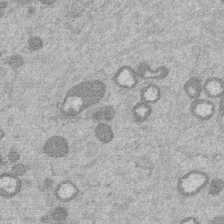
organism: Mouse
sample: Dividing mouse embryo 1 cell stage